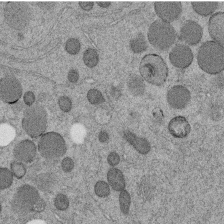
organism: C. elegans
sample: C. elegans embryo early stage